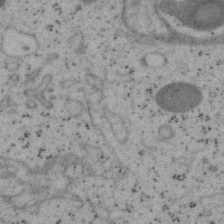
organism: Human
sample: HeLa cells